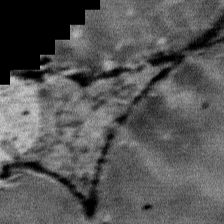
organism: Mouse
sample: Mouse Salivary gland